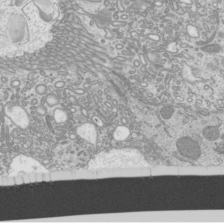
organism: Mouse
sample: Cilia; mouse epididymis